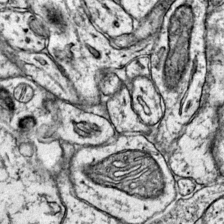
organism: Mouse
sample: Primary visual cortex